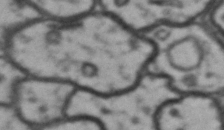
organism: Drosophila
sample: Brain